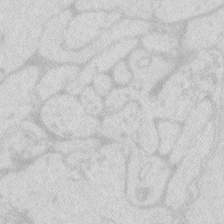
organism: Zebrafish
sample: Macrophage